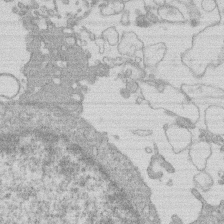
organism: Human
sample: Macrophage cells